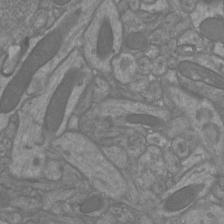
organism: Mouse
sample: Cortical neurons